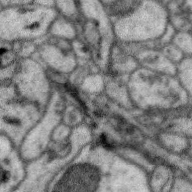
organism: Zebra finch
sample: Brain